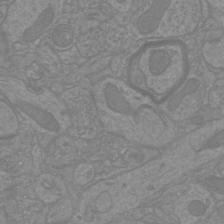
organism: Mouse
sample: Cortical neurons